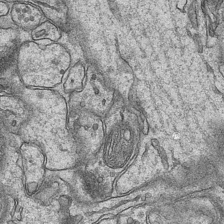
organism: Mouse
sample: CA1 Hippocampus